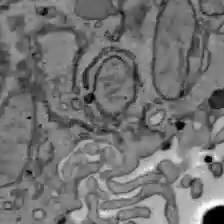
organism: C57BL Mouse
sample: Liver